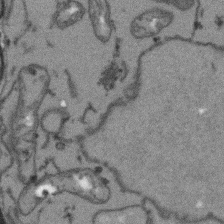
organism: Arabidopsis thaliana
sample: Root tip